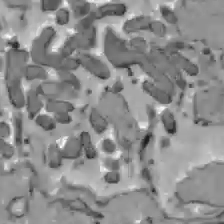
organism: C57BL Mouse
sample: Liver